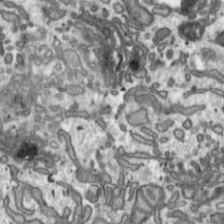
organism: Toxoplasma gondii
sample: Parasites in a vacuole inside a host cell